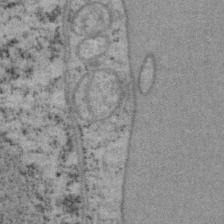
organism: Human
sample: HeLa cells